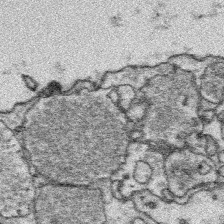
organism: Platynereis dumerilii